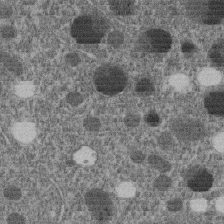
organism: C. elegans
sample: C. elegans embryo early stage